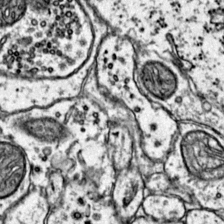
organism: Mouse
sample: Primary visual cortex